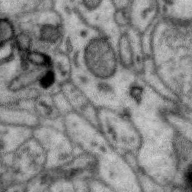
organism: Zebra finch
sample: Brain